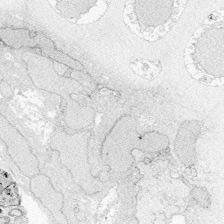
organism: Zebrafish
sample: Whole-Brain